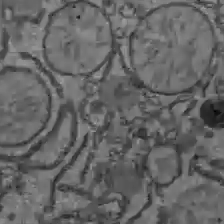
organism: C57BL Mouse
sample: Liver